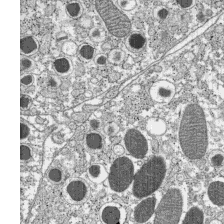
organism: C57BL Mouse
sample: Pancreatic islet